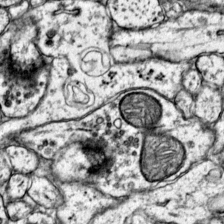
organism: Mouse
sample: Primary visual cortex